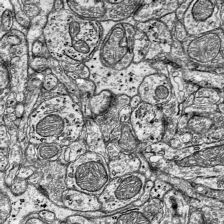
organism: Mouse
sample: Visual Cortex